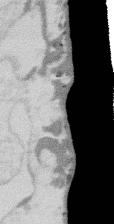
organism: Mouse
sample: T cell stromal cell synapse